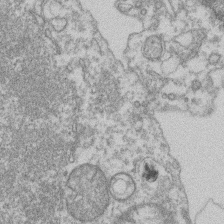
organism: Mouse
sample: T cell stromal cell synapse